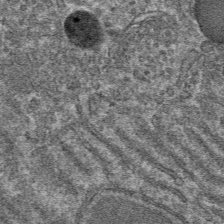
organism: Mouse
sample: Mouse hepatocytes